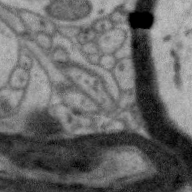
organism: Zebra finch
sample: Brain